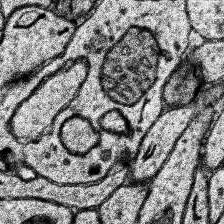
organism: Human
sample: Temporal Lobe